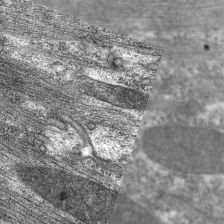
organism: C. elegans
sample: Pharynx